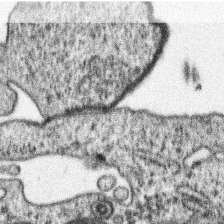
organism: Human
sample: HeLa cells